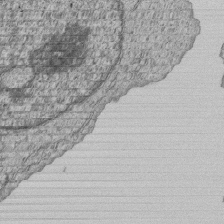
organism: Human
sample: MDA-MB-231 cells